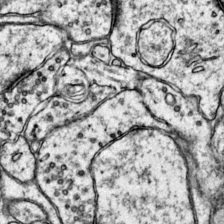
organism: Mouse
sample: Primary visual cortex